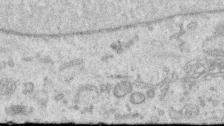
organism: Human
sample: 1205lu cells